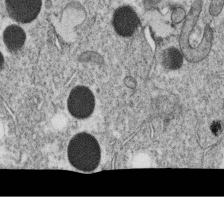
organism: C. elegans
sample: C. elegans oocyte; sperm cells